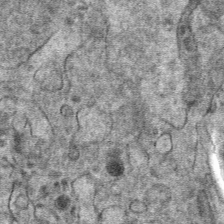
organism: Mouse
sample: Mouse hepatocytes